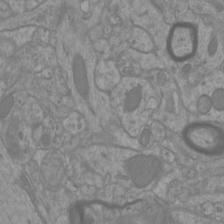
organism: Mouse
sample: Cortical neurons